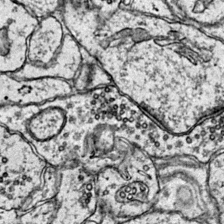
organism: Mouse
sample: Primary visual cortex